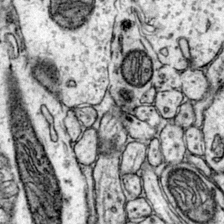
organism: Mouse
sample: Primary visual cortex